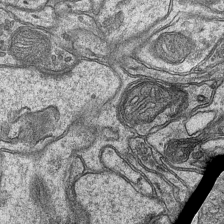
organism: Mouse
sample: CA1 Hippocampus